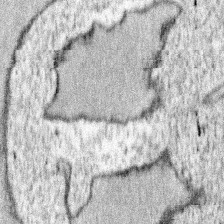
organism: Human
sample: HeLa cells